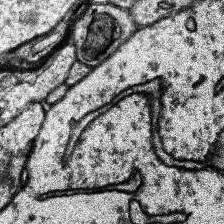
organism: Human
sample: Temporal Lobe